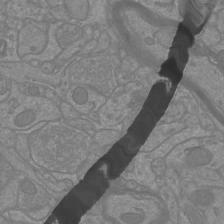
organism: Mouse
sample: Cortical neurons